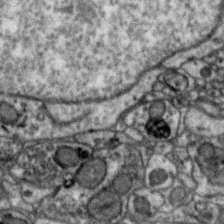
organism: Zebra finch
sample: Brain